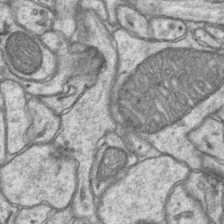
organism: Mouse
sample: CA1 Hippocampus